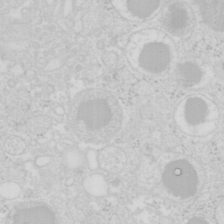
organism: Mouse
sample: Pancreas